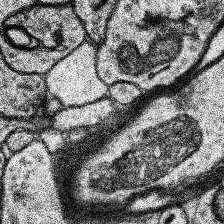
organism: Human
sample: Temporal Lobe